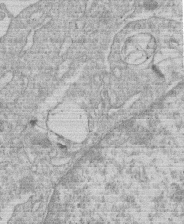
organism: Human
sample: Macrophage cells